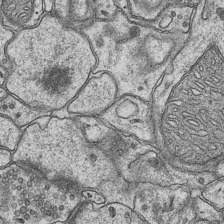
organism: Mouse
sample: CA1 Hippocampus